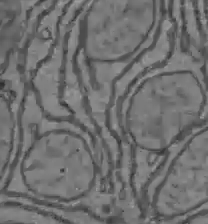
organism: C57BL Mouse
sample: Liver